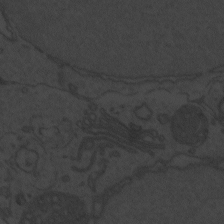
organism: Zebrafish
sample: Macrophage infected with Toxoplasma gondii